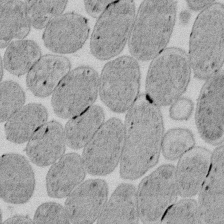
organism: E. coli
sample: Bacterial nucleoid